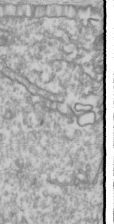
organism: Drosophila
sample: Cell division; meiosis; drosophila spermatocytes